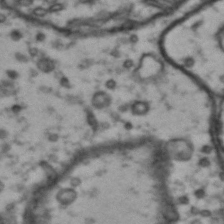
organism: Drosophila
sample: Brain